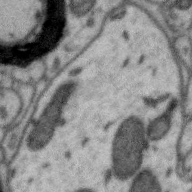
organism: Zebra finch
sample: Brain